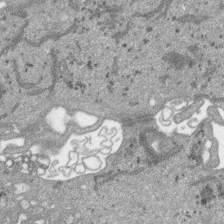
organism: Human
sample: Lung epithelial cells infected with SARS-CoV-2